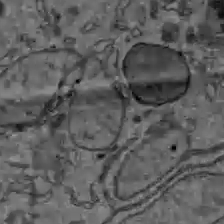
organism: C57BL Mouse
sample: Liver